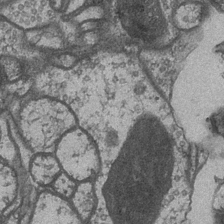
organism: Drosophila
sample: Optic medulla